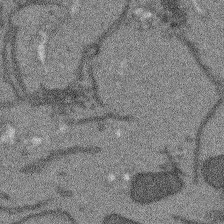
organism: Arabidopsis thaliana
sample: Root tip